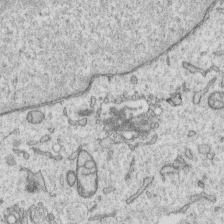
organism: Human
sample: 1205lu cells